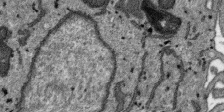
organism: Human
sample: Lung epithelial cells, uninfected (mock) control